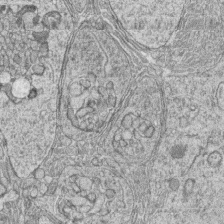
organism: Zebrafish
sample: synaptic ribbons in rod cells and cone cells